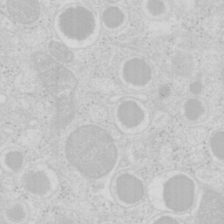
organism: Mouse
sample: Pancreas